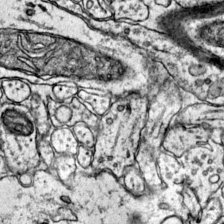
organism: Mouse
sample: Primary visual cortex